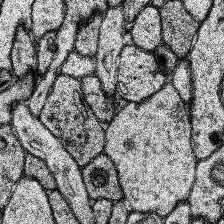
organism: Human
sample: Temporal Lobe